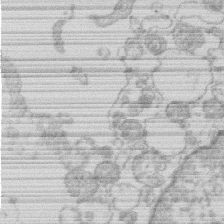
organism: Human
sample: Macrophage cells